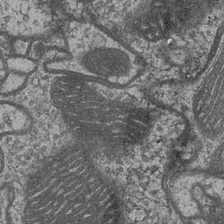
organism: Drosophila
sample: Optic medulla